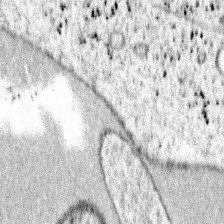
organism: Human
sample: HeLa cells